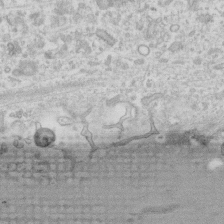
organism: Human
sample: Fibroblast cells